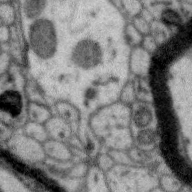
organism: Zebra finch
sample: Brain